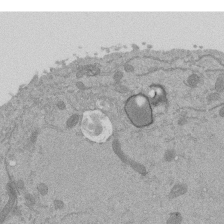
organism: Mouse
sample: ED-1 cell nuclei; centrioles